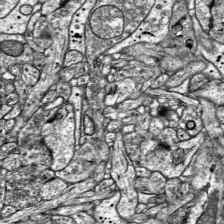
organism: Mouse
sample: Visual Cortex